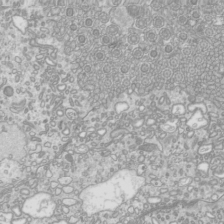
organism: Mouse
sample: Cilia; mouse epididymis